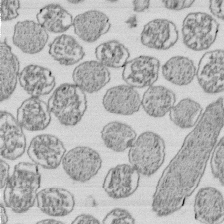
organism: E. coli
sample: Bacterial nucleoid